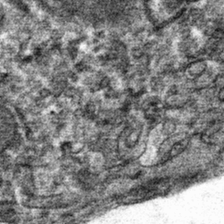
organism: Mouse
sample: Mouse hepatocytes